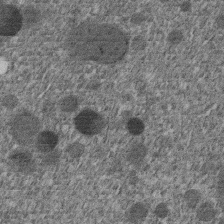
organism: C. elegans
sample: C. elegans embryo early stage